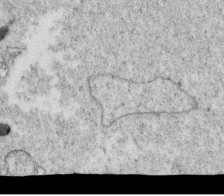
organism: C. elegans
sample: C. elegans oocyte; sperm cells